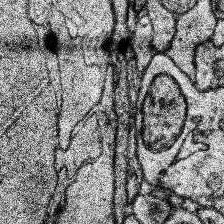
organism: Human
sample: Temporal Lobe